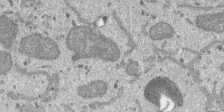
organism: Human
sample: Lung epithelial cells infected with SARS-CoV-2